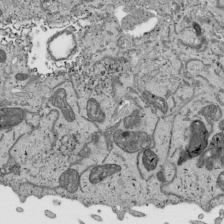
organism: Human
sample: Mitochondria in HCT116 cells